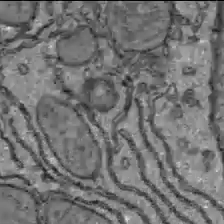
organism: C57BL Mouse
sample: Liver